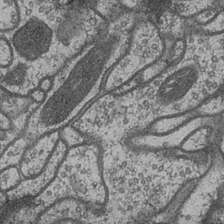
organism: Drosophila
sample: Optic medulla